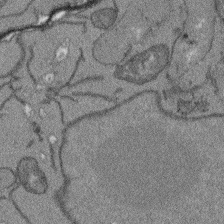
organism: Arabidopsis thaliana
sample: Root tip